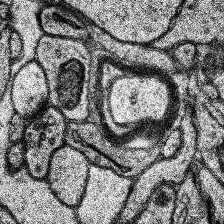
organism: Human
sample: Temporal Lobe